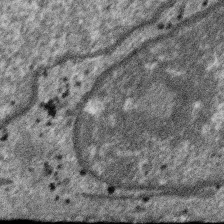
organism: Human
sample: Lung epithelial cells infected with SARS-CoV-2